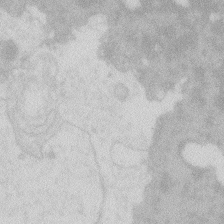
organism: Zebrafish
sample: Macrophage